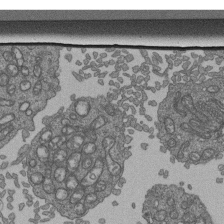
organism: Human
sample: Retinal organoid Rod and Cone cells